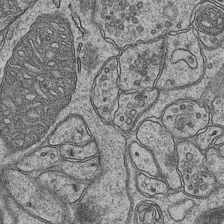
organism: Mouse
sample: CA1 Hippocampus